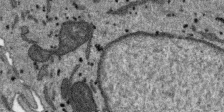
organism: Human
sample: Lung epithelial cells, uninfected (mock) control